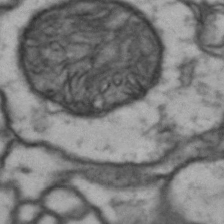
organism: Drosophila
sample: Brain